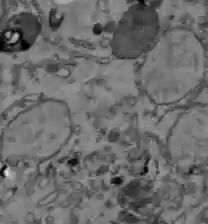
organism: C57BL Mouse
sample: Liver